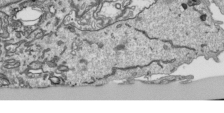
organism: Human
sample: Mitochondria in HCT116 cells